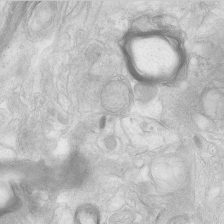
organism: Human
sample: Neocortex